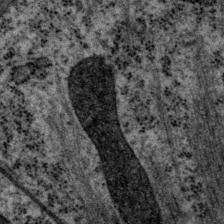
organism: P. pacificus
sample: Pharynx